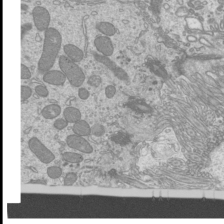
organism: Mouse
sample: Cilia; mouse epididymis